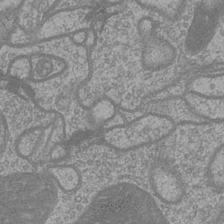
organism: Drosophila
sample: Optic medulla